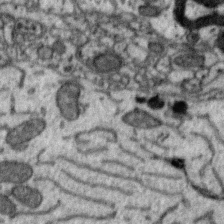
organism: Zebra finch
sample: Brain